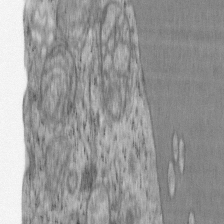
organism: Human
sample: HeLa cells